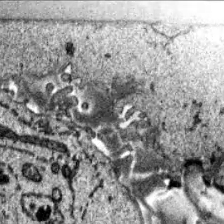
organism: Human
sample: HeLa cells